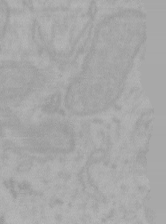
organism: Mouse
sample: Choroid plexus